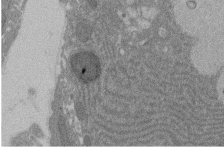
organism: Rat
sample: Salivary granule